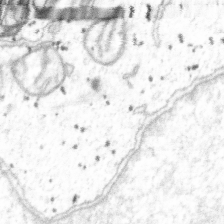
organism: Human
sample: HeLa cells